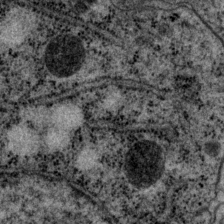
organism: P. pacificus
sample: Pharynx